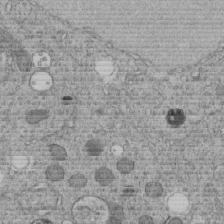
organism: C. elegans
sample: C. elegans embryo early stage